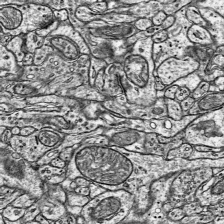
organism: Mouse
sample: Visual Cortex